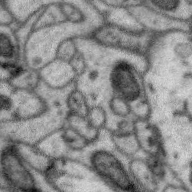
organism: Zebra finch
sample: Brain